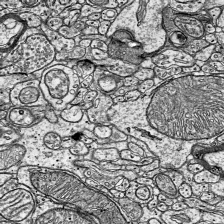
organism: Mouse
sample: Visual Cortex